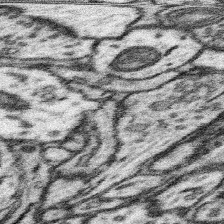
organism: Mouse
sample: Somatosensory cortex neuropil